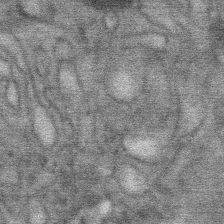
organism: Mouse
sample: Mouse Salivary gland